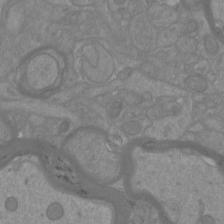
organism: Mouse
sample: Cortical neurons